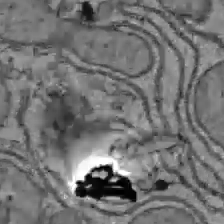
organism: C57BL Mouse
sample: Liver